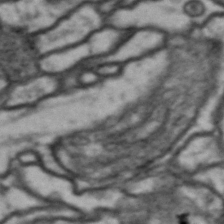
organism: Drosophila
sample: Brain